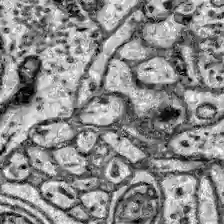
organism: Zebrafish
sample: Brain